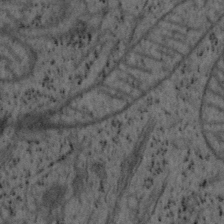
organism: Human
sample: HeLa cells